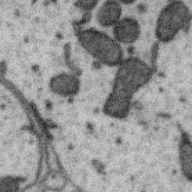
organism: Zebra finch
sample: Brain